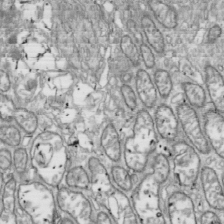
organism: Drosophila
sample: Cell division; meiosis; drosophila spermatocytes